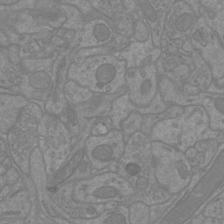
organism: Mouse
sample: Cortical neurons